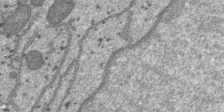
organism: Human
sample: Lung epithelial cells infected with SARS-CoV-2